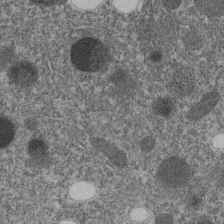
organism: C. elegans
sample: C. elegans embryo early stage